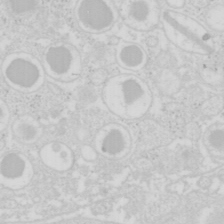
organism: Mouse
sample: Pancreas